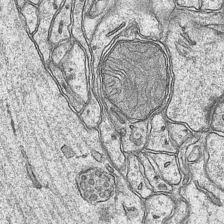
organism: Mouse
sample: CA1 Hippocampus